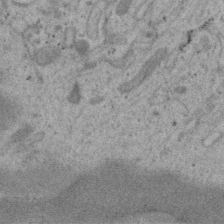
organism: Human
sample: HeLa cells